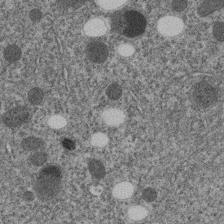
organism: C. elegans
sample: C. elegans embryo early stage